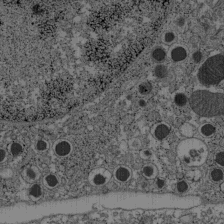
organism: C57BL Mouse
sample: Pancreatic islet